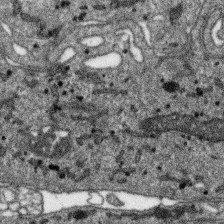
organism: Human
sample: Lung epithelial cells infected with SARS-CoV-2